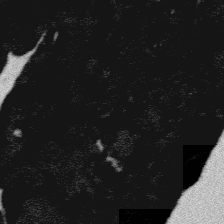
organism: Platynereis dumerilii